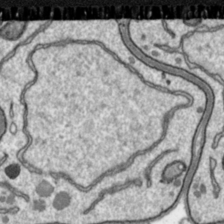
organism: Toxoplasma gondii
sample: Parasites in a vacuole inside a host cell